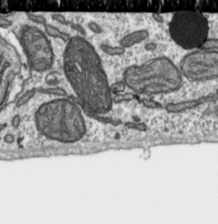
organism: Toxoplasma gondii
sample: Parasites in a vacuole inside a host cell